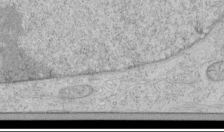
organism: Human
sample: Mitochondria in HCT116 cells